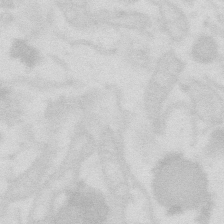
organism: Human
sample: HeLa cells